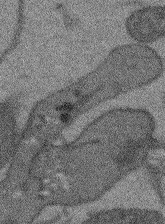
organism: Arabidopsis thaliana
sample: Root tip